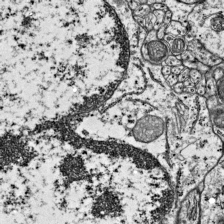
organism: Mouse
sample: Visual Cortex